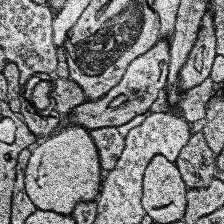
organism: Human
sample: Temporal Lobe